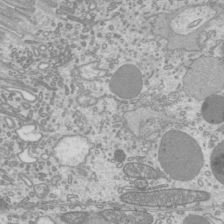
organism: Mouse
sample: Cilia; mouse epididymis